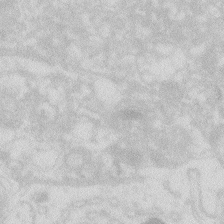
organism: Zebrafish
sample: Macrophage